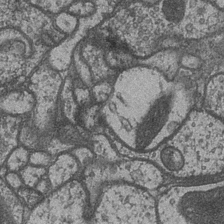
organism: Drosophila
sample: Optic medulla